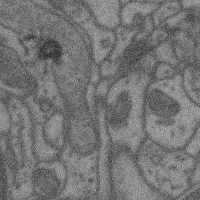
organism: Mouse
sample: Cerebral cortex